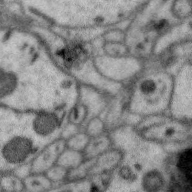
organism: Zebra finch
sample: Brain